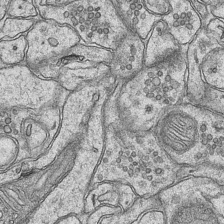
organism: Mouse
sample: CA1 Hippocampus